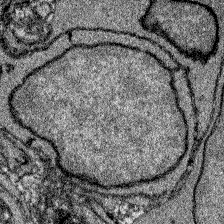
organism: Zebrafish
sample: Larval olfactory bulb